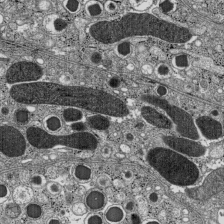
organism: C57BL Mouse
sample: Pancreatic islet